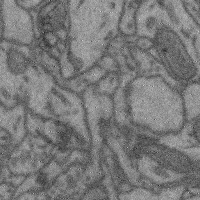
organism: Mouse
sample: Cerebral cortex